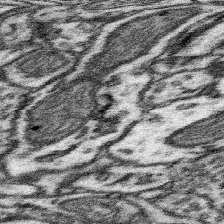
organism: Mouse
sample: Somatosensory cortex neuropil